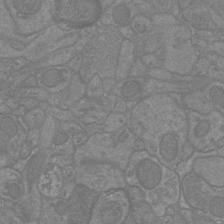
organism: Mouse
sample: Cortical neurons